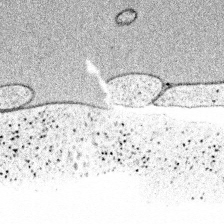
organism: Human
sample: HeLa cells